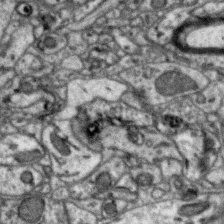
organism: Zebra finch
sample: Brain